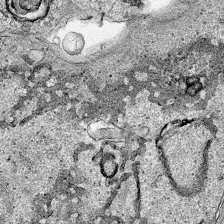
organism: Human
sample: Mitochondria in HCT116 cells